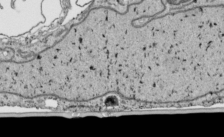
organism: Human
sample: Mitochondria in HCT116 cells